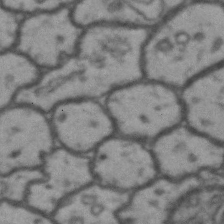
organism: Drosophila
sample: Brain